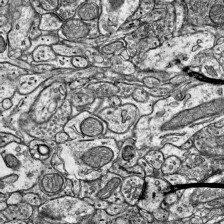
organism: Mouse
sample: Visual Cortex